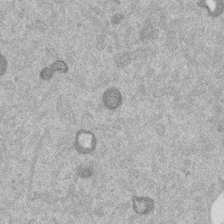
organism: Mouse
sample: Dividing mouse embryo 1 cell stage